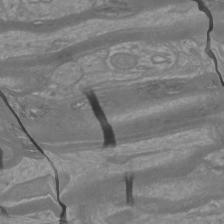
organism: Mouse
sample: Cortical neurons